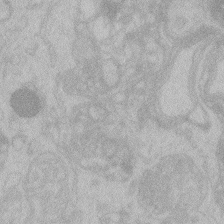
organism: Zebrafish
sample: Macrophage infected with Toxoplasma gondii